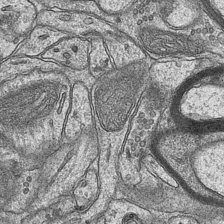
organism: Mouse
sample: CA1 Hippocampus